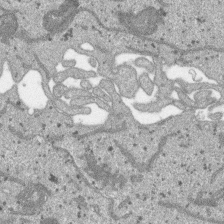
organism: Human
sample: Lung epithelial cells infected with SARS-CoV-2